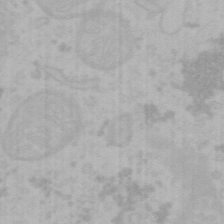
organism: Mouse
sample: Choroid plexus